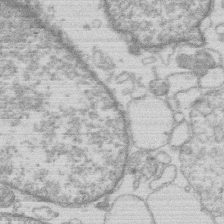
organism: Human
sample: Macrophage cells